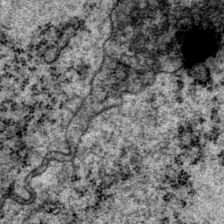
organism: P. pacificus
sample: Pharynx